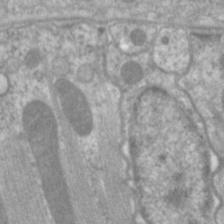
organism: C. elegans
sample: Pharynx